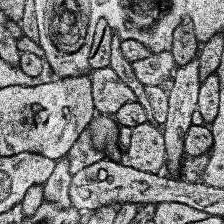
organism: Human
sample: Temporal Lobe